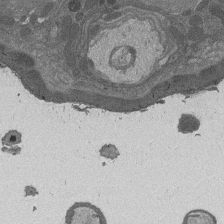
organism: Drosophila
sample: Antenna